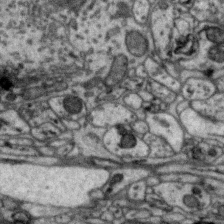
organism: Zebra finch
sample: Brain